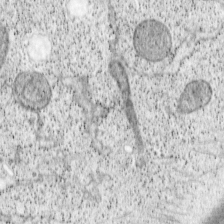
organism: African green monkey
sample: COS-7 cells